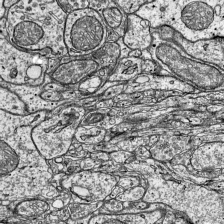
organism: Mouse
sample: Visual Cortex